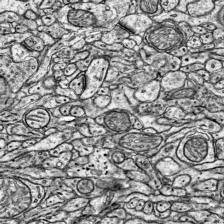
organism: Mouse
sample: Visual Cortex